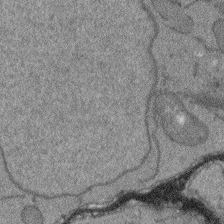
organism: Arabidopsis thaliana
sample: Root tip